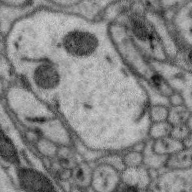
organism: Zebra finch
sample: Brain